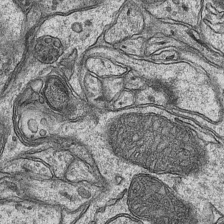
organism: Mouse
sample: CA1 Hippocampus